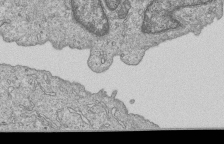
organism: Human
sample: MDA-MB-231 cells